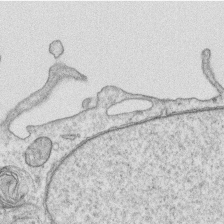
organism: Human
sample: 1205lu cells